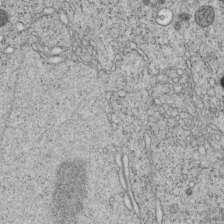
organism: C. elegans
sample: C. elegans embryo early stage